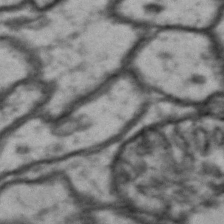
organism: Drosophila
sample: Brain